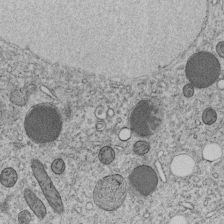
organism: C. elegans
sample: C. elegans embryo early stage